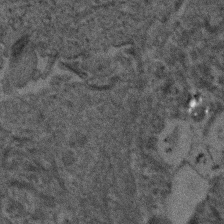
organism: Human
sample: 1205lu cells